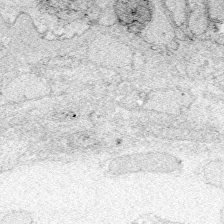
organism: Zebrafish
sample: Whole-Brain